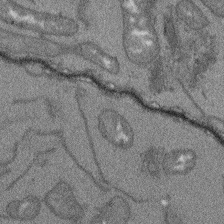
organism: Arabidopsis thaliana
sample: Root tip